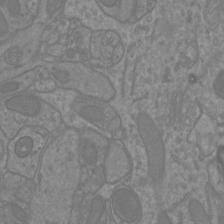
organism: Mouse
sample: Cortical neurons